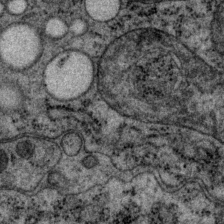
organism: P. pacificus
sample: Pharynx